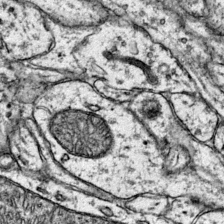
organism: Mouse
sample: Primary visual cortex